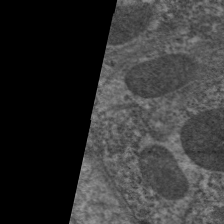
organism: C. elegans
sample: Pharynx